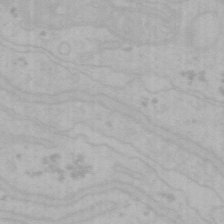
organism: Mouse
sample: Choroid plexus